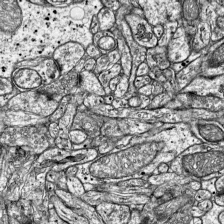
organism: Mouse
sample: Visual Cortex